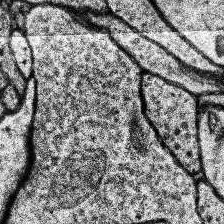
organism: Human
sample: Temporal Lobe